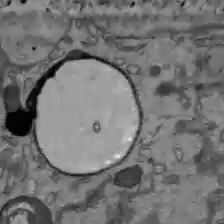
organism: C57BL Mouse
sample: Liver